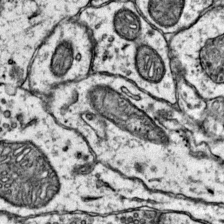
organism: Mouse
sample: Primary visual cortex